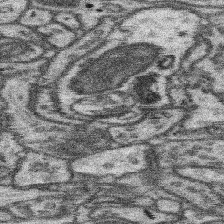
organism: Mouse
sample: Somatosensory cortex neuropil